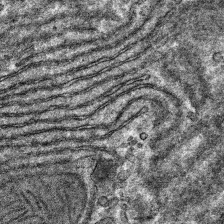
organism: Mouse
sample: Mouse hepatocytes